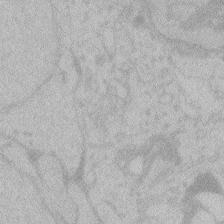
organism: Zebrafish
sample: Macrophage infected with Toxoplasma gondii